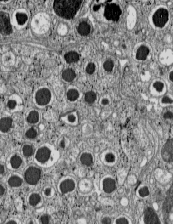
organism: C57BL Mouse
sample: Pancreatic islet